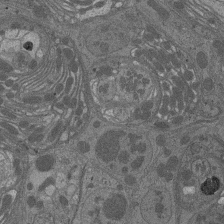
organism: Drosophila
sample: Antenna